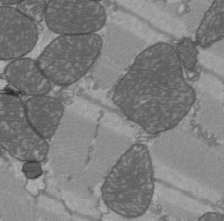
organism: C57BL Mouse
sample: Heart